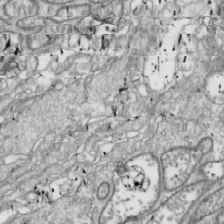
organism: Drosophila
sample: Cell division; meiosis; drosophila spermatocytes